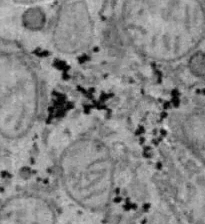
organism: Mouse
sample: Liver from an obese (ob/ob) mouse